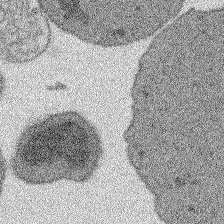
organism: Human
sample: HeLa cells